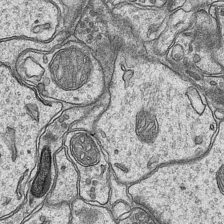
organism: Mouse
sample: CA1 Hippocampus